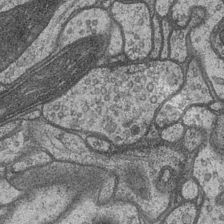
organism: Drosophila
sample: Optic medulla